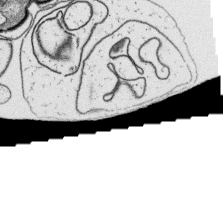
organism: Platynereis dumerilii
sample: Parapodia